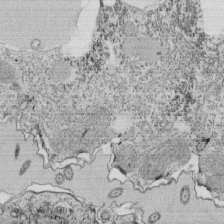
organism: Tetrahymena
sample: Cilia in tetrahymena